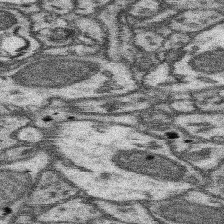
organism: Mouse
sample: Somatosensory cortex neuropil